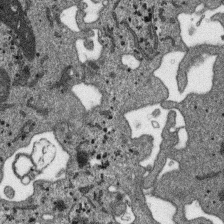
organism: Human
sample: Lung epithelial cells infected with SARS-CoV-2